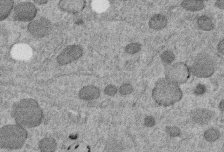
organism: C. elegans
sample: C. elegans embryo early stage